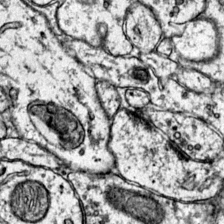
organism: Mouse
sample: Primary visual cortex